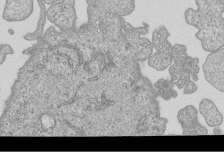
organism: Human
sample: MDA-MB-231 cells